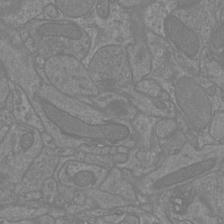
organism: Mouse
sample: Cortical neurons